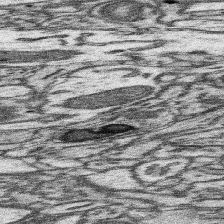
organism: Mouse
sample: Somatosensory cortex neuropil